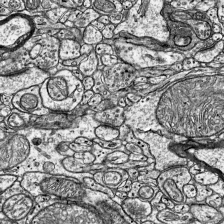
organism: Mouse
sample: Visual Cortex